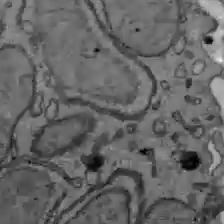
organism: C57BL Mouse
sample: Liver